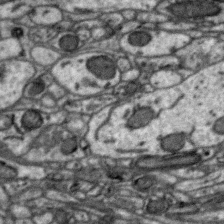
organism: Zebra finch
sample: Brain